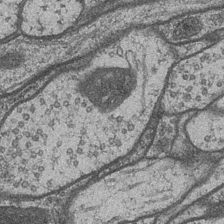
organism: Drosophila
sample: Optic medulla